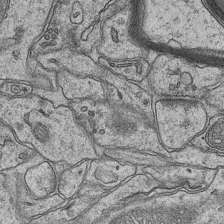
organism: Mouse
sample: CA1 Hippocampus